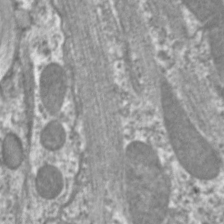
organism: C. elegans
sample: Pharynx